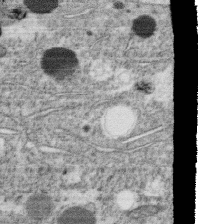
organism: C. elegans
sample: C. elegans oocyte; sperm cells